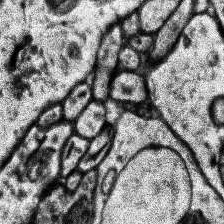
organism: Human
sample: Temporal Lobe